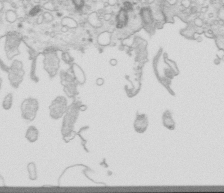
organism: Mouse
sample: Multiciliated cells